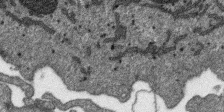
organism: Human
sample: Lung epithelial cells infected with SARS-CoV-2